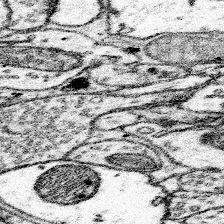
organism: Mouse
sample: Somatosensory cortex neuropil